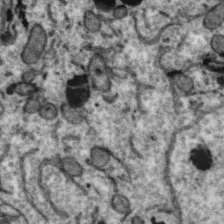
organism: Zebra finch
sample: Brain